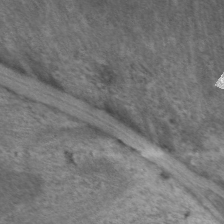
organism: C. elegans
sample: Pharynx